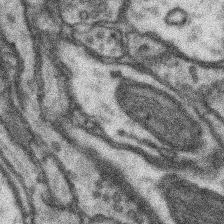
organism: Mouse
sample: Somatosensory cortex neuropil